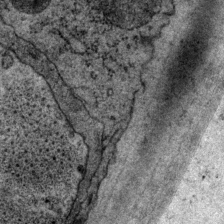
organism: P. pacificus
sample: Pharynx